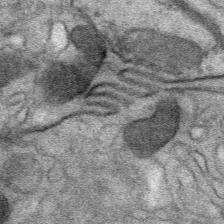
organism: Mouse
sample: Mouse Salivary gland